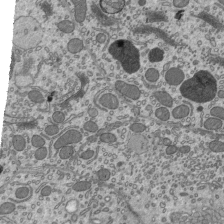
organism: Mouse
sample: Mouse epididymis efferent ductule cilia